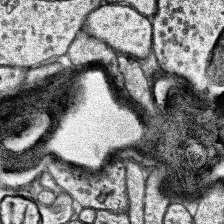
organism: Human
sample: Temporal Lobe